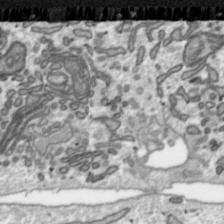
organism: Toxoplasma gondii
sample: Parasites in a vacuole inside a host cell